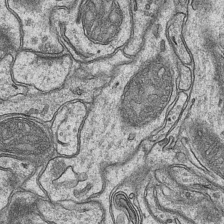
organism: Mouse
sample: CA1 Hippocampus